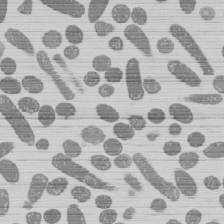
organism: E. coli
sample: Bacterial nucleoid